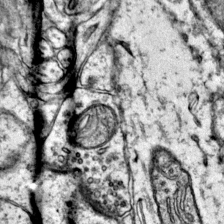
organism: Mouse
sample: Primary visual cortex